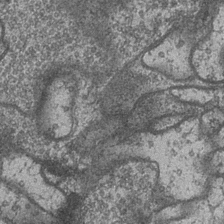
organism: Drosophila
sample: Optic medulla